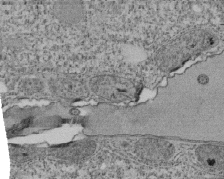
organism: Tetrahymena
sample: Cilia in tetrahymena